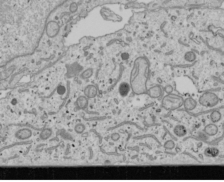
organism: Human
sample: Mitochondria in U2OS cells